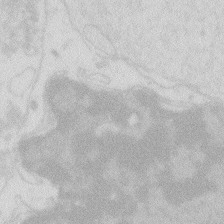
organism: Zebrafish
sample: Macrophage